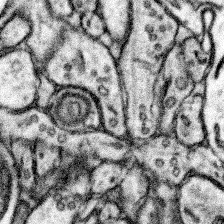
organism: Mouse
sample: Somatosensory cortex neuropil